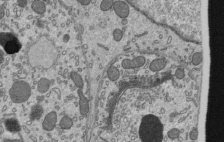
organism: Mouse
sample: Mouse epididymis efferent ductule cilia